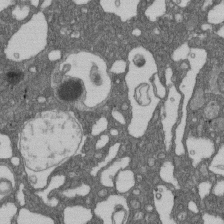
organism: Drosophila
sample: Nephrocyte